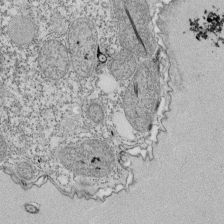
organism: Tetrahymena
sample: Cilia in tetrahymena